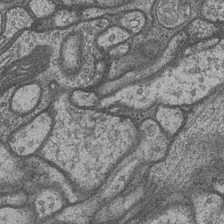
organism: Drosophila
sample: Optic medulla